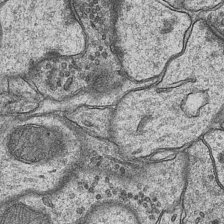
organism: Mouse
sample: CA1 Hippocampus